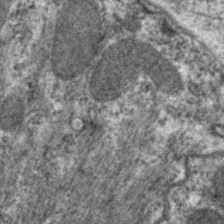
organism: C. elegans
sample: Pharynx